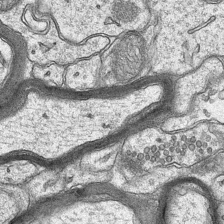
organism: Mouse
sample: CA1 Hippocampus